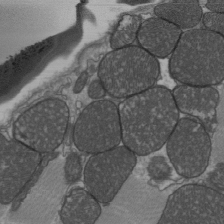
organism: C57BL Mouse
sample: Heart